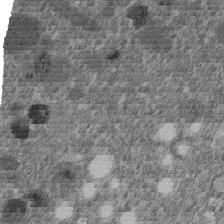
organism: C. elegans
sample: C. elegans embryo early stage